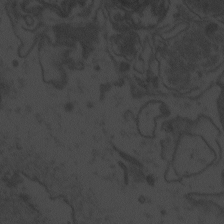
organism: Zebrafish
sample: Macrophage infected with Toxoplasma gondii